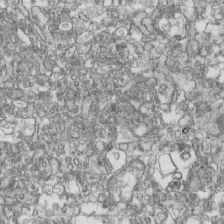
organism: Human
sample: CRL-1474